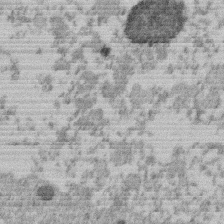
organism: Mouse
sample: Dividing mouse embryo 1 cell stage